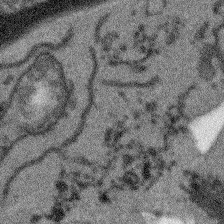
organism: Arabidopsis thaliana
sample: Root tip